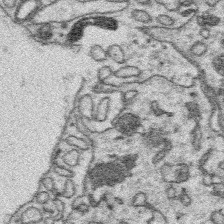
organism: Platynereis dumerilii